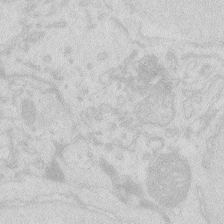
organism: Zebrafish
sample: Macrophage